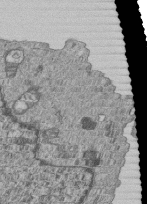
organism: Human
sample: MDA-MB-231 cells